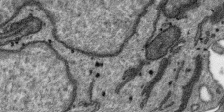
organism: Human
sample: Lung epithelial cells, uninfected (mock) control